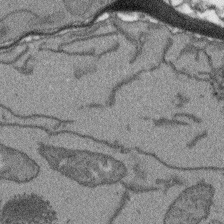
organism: Arabidopsis thaliana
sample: Root tip